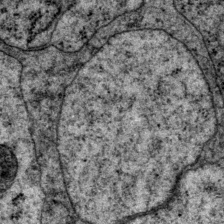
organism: P. pacificus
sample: Pharynx